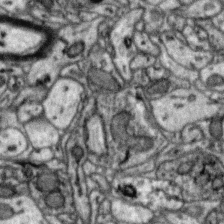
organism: Zebra finch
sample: Brain